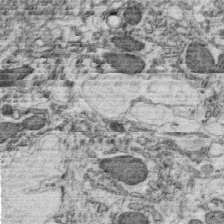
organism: C. elegans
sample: C. elegans oocyte; sperm cells